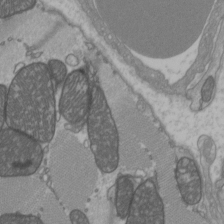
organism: C57BL Mouse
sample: Heart